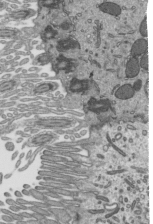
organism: Mouse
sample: Mouse epididymis efferent ductule cilia